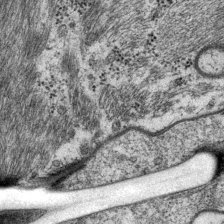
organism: P. pacificus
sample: Pharynx